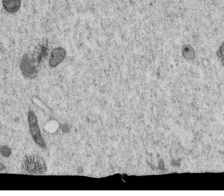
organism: C. elegans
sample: C. elegans oocyte; sperm cells